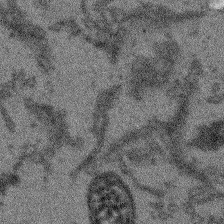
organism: Arabidopsis thaliana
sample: Root tip